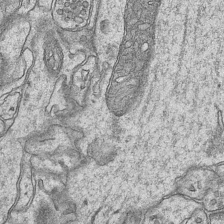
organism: Mouse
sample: CA1 Hippocampus